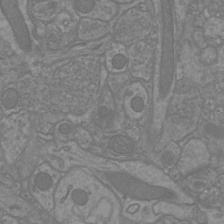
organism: Mouse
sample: Cortical neurons